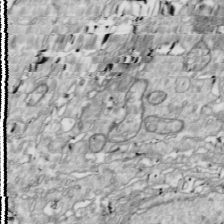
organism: Drosophila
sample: Cell division; meiosis; drosophila spermatocytes